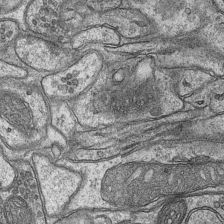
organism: Mouse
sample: CA1 Hippocampus